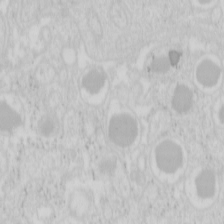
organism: Mouse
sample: Pancreas